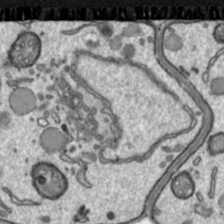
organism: Toxoplasma gondii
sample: Parasites in a vacuole inside a host cell